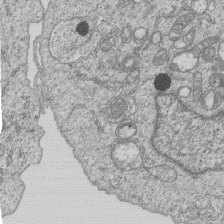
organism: Human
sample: MDA-MB-231 cells